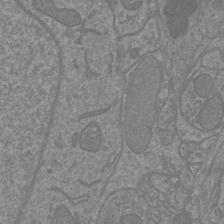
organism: Mouse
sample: Cortical neurons